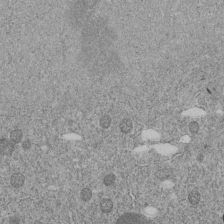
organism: C. elegans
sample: C. elegans embryo early stage